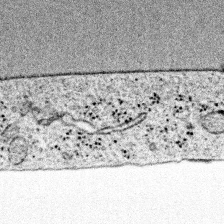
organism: Human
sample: HeLa cells